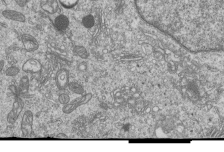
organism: Human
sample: MDA-MB-231 cells